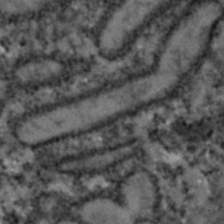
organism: Zebrafish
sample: Zebrafish embryo